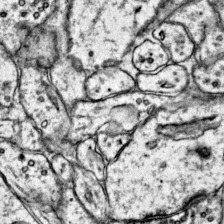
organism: Mouse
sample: Primary visual cortex